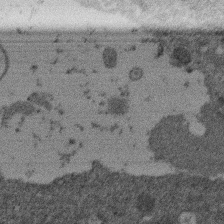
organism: Mouse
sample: Dividing mouse embryo 1 cell stage